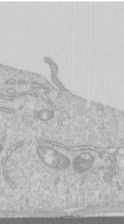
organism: Human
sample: Centriole in RPE cells